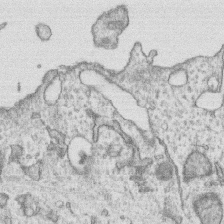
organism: Human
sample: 1205lu cells